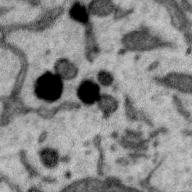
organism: Zebra finch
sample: Brain